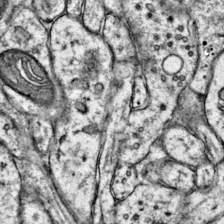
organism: Mouse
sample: Primary visual cortex